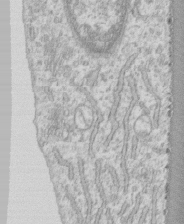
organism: Human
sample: CRL-1474